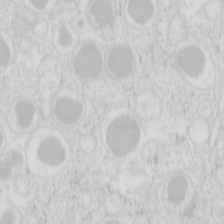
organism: Mouse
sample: Pancreas